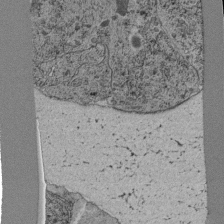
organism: C. elegans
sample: C. elegans pharynx